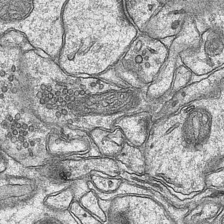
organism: Mouse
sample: CA1 Hippocampus